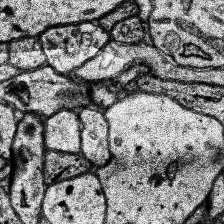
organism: Human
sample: Temporal Lobe